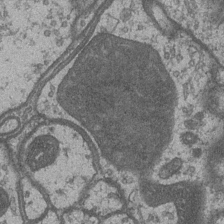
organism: Drosophila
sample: Optic medulla